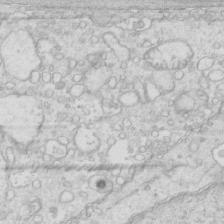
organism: Mouse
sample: Multiciliated cells